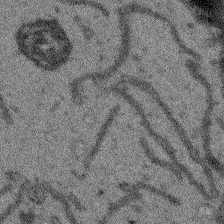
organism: Arabidopsis thaliana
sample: Root tip